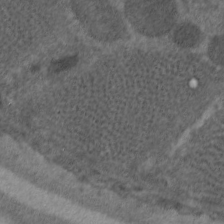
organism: C. elegans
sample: Pharynx